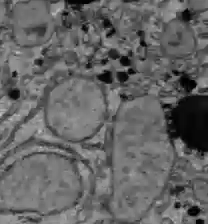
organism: C57BL Mouse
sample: Liver